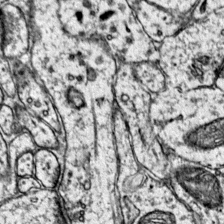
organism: Mouse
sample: Primary visual cortex